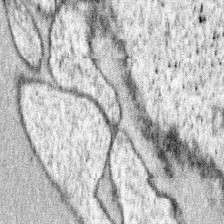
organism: Human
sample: HeLa cells